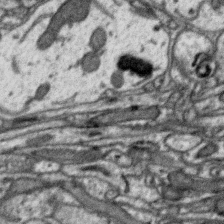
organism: Zebra finch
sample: Brain